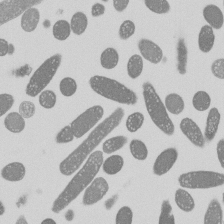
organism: E. coli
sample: Bacterial nucleoid